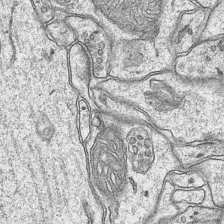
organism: Mouse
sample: CA1 Hippocampus